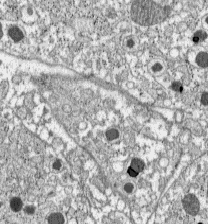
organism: C57BL Mouse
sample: Pancreatic islet